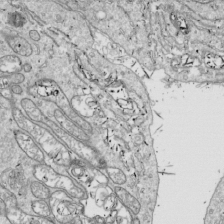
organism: Drosophila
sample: Cell division; meiosis; drosophila spermatocytes